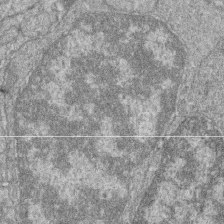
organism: Zebrafish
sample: Cilia; retinal pigment epithelium